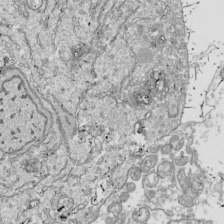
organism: Drosophila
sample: Cell division; meiosis; drosophila spermatocytes